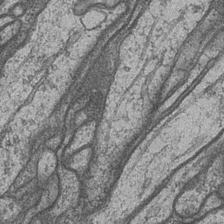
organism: Drosophila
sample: Optic medulla